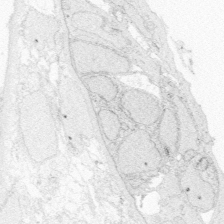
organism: Zebrafish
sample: Whole-Brain